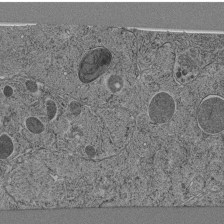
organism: C. elegans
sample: C. elegans pharynx